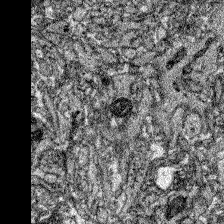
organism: Zebrafish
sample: Larval olfactory bulb